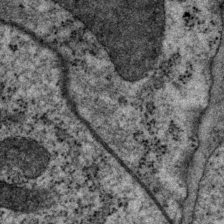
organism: P. pacificus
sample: Pharynx